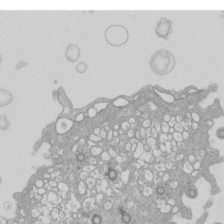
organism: Xenopus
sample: Cilia; centrioles in frog embryo cells